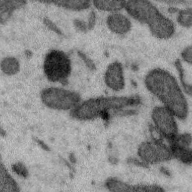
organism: Zebra finch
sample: Brain